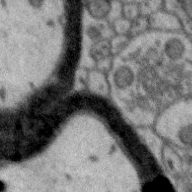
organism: Zebra finch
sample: Brain